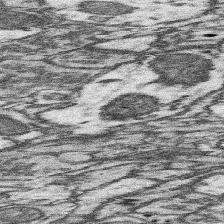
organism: Mouse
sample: Somatosensory cortex neuropil